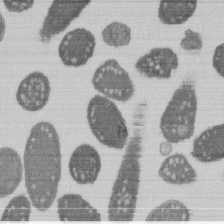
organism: E. coli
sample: Bacterial nucleoid